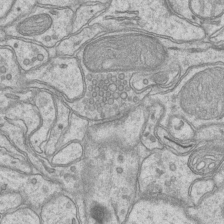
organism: Mouse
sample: CA1 Hippocampus